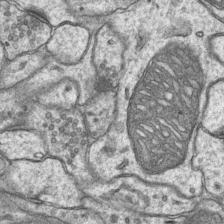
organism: Mouse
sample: CA1 Hippocampus